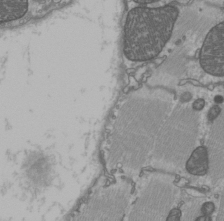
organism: C57BL Mouse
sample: Heart